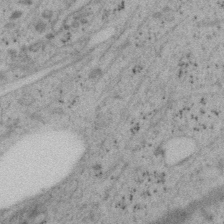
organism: Human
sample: HeLa cells